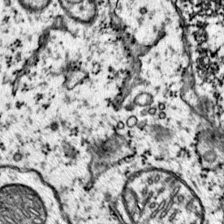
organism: Mouse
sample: Primary visual cortex